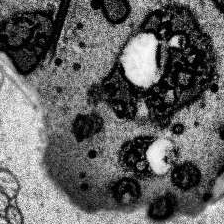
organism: Human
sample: Temporal Lobe